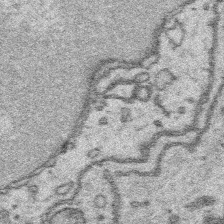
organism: Platynereis dumerilii